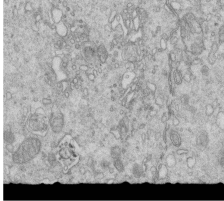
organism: Mouse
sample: Multiciliated cells